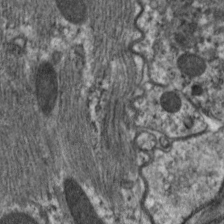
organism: C. elegans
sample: Pharynx